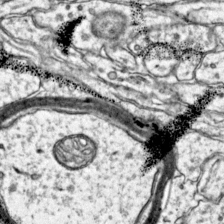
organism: Mouse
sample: Primary visual cortex